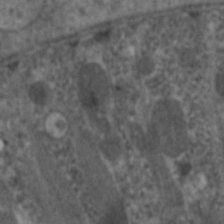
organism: C. elegans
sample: Pharynx